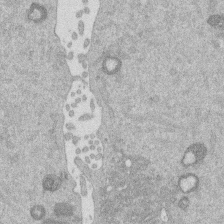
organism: Mouse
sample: Dividing mouse embryo 1 cell stage